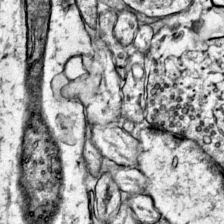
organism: Mouse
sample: Primary visual cortex